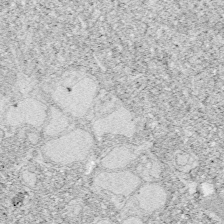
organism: Zebrafish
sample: Whole-Brain